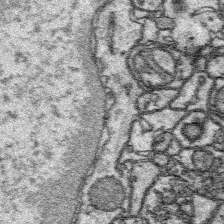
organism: Platynereis dumerilii